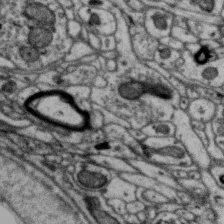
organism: Zebra finch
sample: Brain